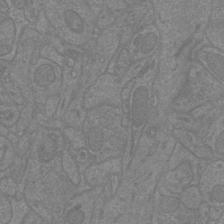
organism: Mouse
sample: Cortical neurons